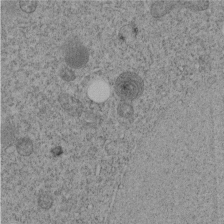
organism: C. elegans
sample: C. elegans embryo early stage